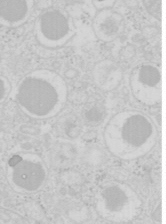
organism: Mouse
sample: Pancreas